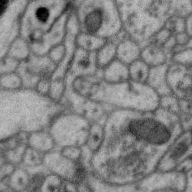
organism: Zebra finch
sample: Brain